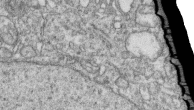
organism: Human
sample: HeLa cell HIV synapse